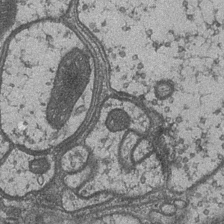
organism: Drosophila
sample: Optic medulla